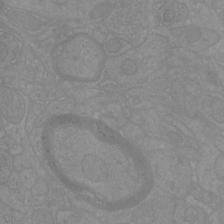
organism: Mouse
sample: Cortical neurons